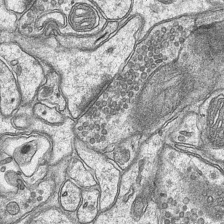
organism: Mouse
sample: CA1 Hippocampus